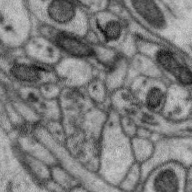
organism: Zebra finch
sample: Brain